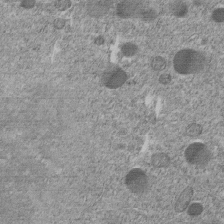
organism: C. elegans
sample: C. elegans embryo early stage